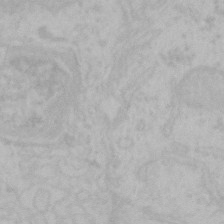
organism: Mouse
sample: Choroid plexus